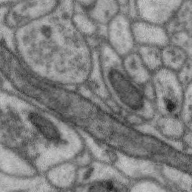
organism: Zebra finch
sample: Brain